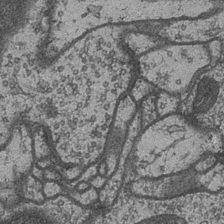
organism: Drosophila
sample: Optic medulla